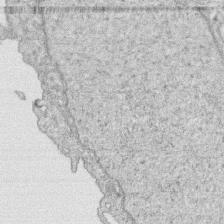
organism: Human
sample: HeLa cell HIV synapse